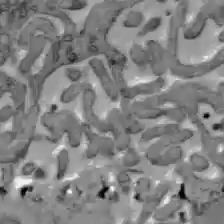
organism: C57BL Mouse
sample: Liver